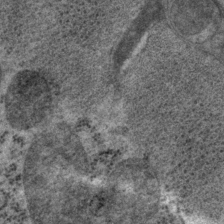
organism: P. pacificus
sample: Pharynx